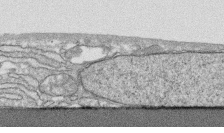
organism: Human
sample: CRL-1474